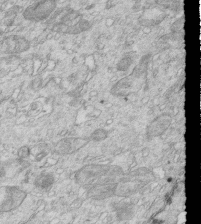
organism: Mouse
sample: Multiciliated cells